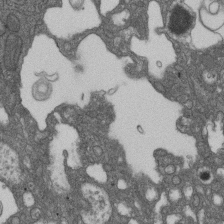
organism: Drosophila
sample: Nephrocyte